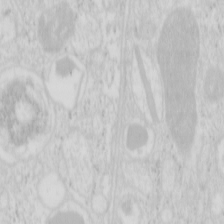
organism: Mouse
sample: Pancreas